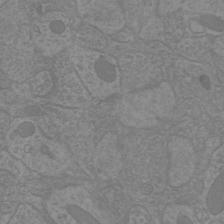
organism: Mouse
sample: Cortical neurons